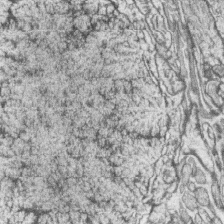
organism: Zebrafish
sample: synaptic ribbons in rod cells and cone cells